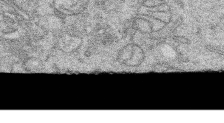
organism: Human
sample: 1205lu cells